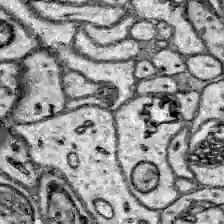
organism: Zebrafish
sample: Brain